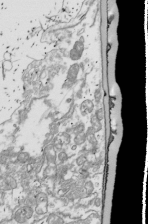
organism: Drosophila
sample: Cell division; meiosis; drosophila spermatocytes